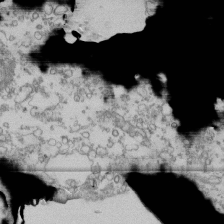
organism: Human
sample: Fibroblast cells